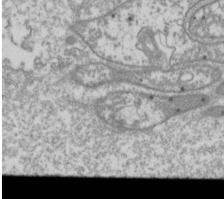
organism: Drosophila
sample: Cell division; meiosis; drosophila spermatocytes